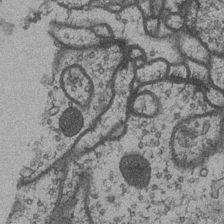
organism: Drosophila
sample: Optic medulla